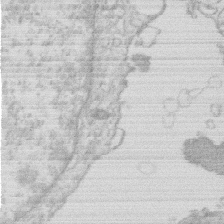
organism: Human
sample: Macrophage cells